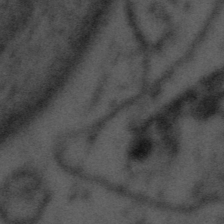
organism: Tuwongella immobilis